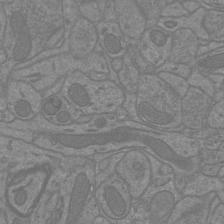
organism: Mouse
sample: Cortical neurons